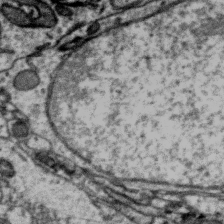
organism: Zebra finch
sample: Brain